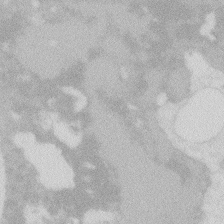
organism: Zebrafish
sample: Macrophage